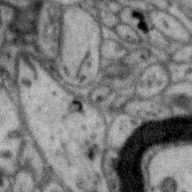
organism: Zebra finch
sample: Brain